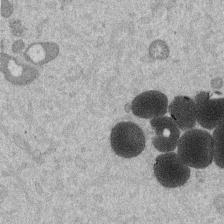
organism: Mouse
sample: Dividing mouse embryo 1 cell stage